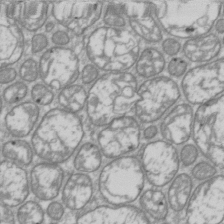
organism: Drosophila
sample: Cell division; meiosis; drosophila spermatocytes